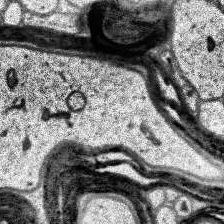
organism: Human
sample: Temporal Lobe